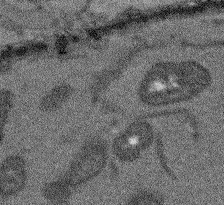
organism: Arabidopsis thaliana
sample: Root tip